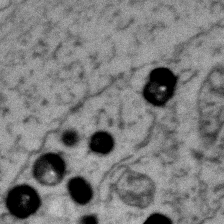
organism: Zebrafish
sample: Zebrafish embryo